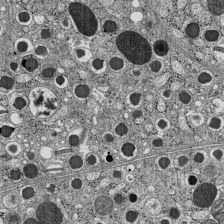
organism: C57BL Mouse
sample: Pancreatic islet